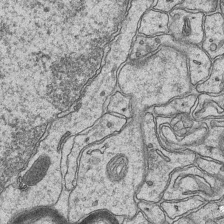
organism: Mouse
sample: CA1 Hippocampus